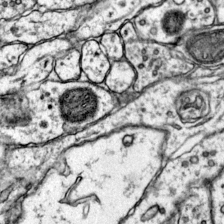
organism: Mouse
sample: Primary visual cortex